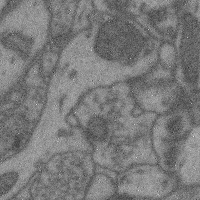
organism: Mouse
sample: Cerebral cortex